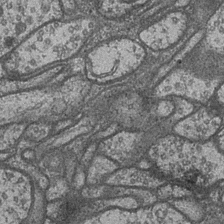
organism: Drosophila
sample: Optic medulla